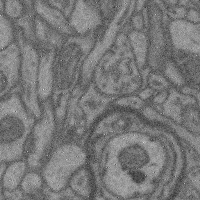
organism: Mouse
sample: Cerebral cortex